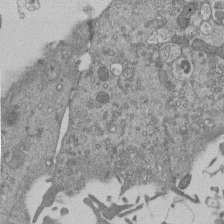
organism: Mouse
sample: ED-1 cell nuclei; centrioles